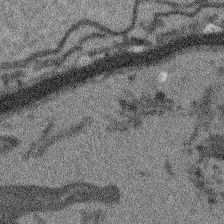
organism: Arabidopsis thaliana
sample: Root tip